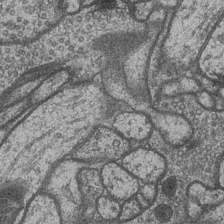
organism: Drosophila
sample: Optic medulla